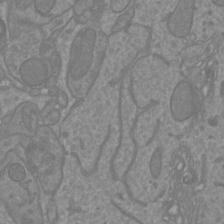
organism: Mouse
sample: Cortical neurons